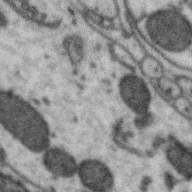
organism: Zebra finch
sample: Brain